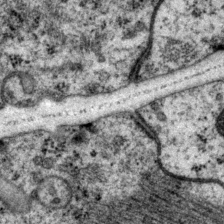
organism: P. pacificus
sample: Pharynx